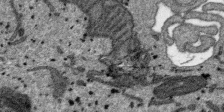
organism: Human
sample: Lung epithelial cells, uninfected (mock) control